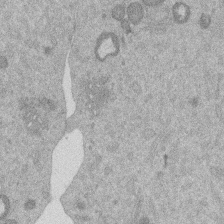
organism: Mouse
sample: Dividing mouse embryo 1 cell stage